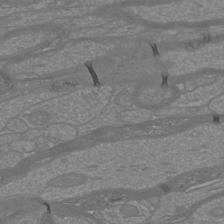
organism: Mouse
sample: Cortical neurons